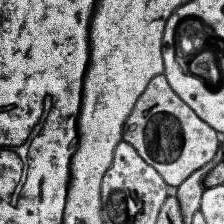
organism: Human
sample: Temporal Lobe